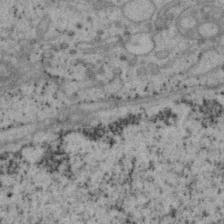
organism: Human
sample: HeLa cells